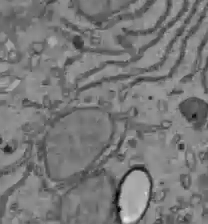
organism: C57BL Mouse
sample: Liver